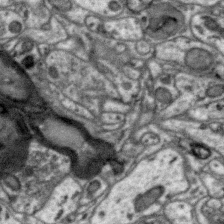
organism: Zebra finch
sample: Brain